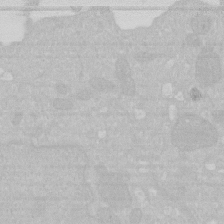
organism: Human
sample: HIV infected U937 cells